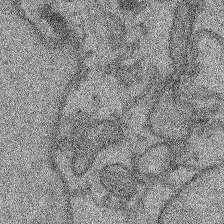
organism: Human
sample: HeLa cells